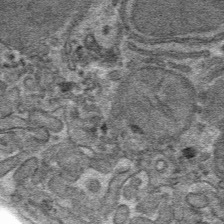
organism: Mouse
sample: Mouse hepatocytes